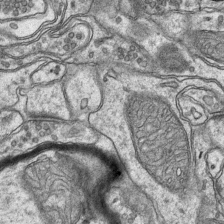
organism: Mouse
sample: CA1 Hippocampus